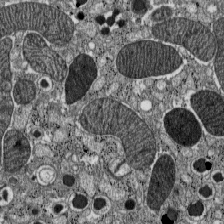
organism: C57BL Mouse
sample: Pancreatic islet